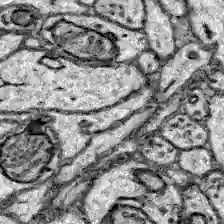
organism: Zebrafish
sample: Brain